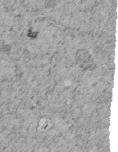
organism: C. elegans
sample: C. elegans embryo early stage